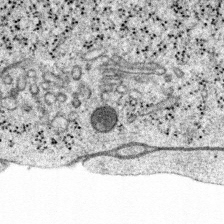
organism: Human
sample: HeLa cells